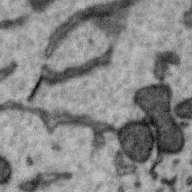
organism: Zebra finch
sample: Brain